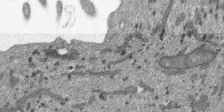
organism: Human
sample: Lung epithelial cells infected with SARS-CoV-2